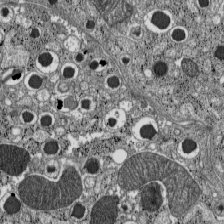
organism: C57BL Mouse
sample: Pancreatic islet